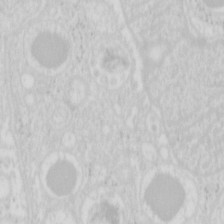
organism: Mouse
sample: Pancreas